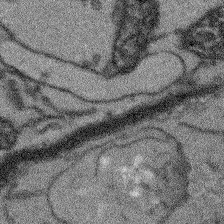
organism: Arabidopsis thaliana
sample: Root tip